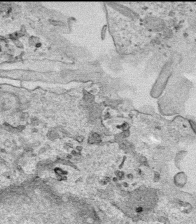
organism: Human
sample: Mitochondria in HCT116 cells